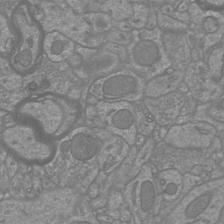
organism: Mouse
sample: Cortical neurons